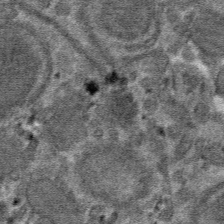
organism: Mouse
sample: Mouse hepatocytes